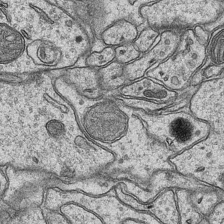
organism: Mouse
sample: CA1 Hippocampus